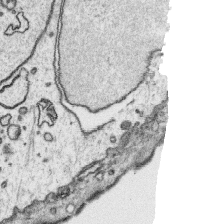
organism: Platynereis dumerilii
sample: Parapodia